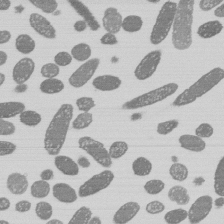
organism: E. coli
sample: Bacterial nucleoid